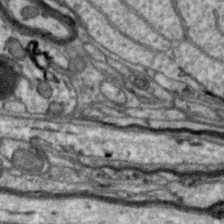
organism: Zebra finch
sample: Brain